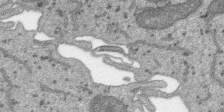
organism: Human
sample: Lung epithelial cells infected with SARS-CoV-2